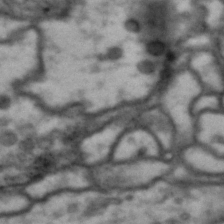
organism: Drosophila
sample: Brain